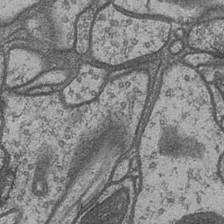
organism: Drosophila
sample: Optic medulla